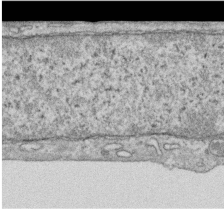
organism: Human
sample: Centriole in RPE cells